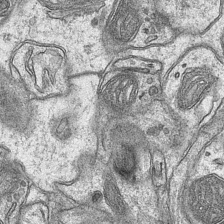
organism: Mouse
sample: CA1 Hippocampus